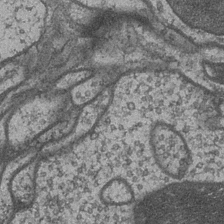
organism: Drosophila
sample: Optic medulla